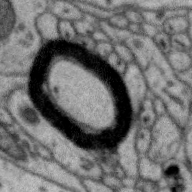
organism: Zebra finch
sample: Brain